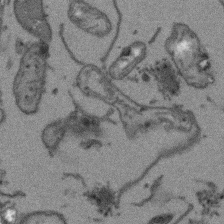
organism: Arabidopsis thaliana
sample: Root tip